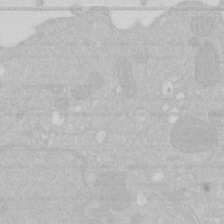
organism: Human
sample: HIV infected U937 cells